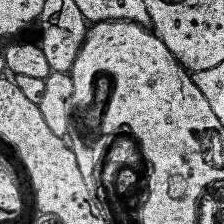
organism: Human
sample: Temporal Lobe